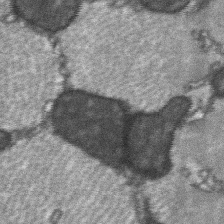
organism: C57BL Mouse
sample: Soleus